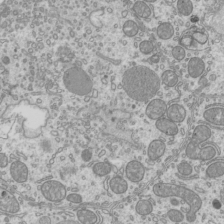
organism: Mouse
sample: Cilia; mouse epididymis